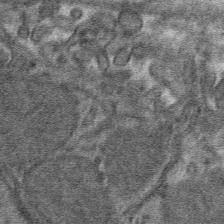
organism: Mouse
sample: Mouse hepatocytes